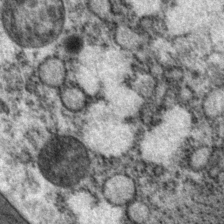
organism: P. pacificus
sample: Pharynx